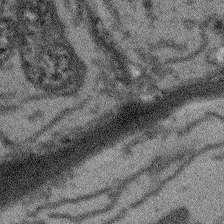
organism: Arabidopsis thaliana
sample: Root tip